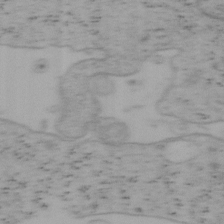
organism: Mouse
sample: OT-I killer T cells with ID8 ovarian cancer cells